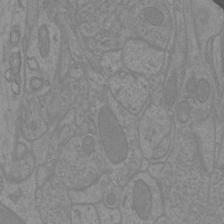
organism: Mouse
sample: Cortical neurons